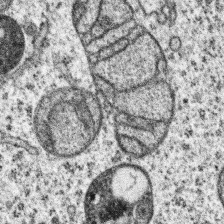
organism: Human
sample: HeLa cells